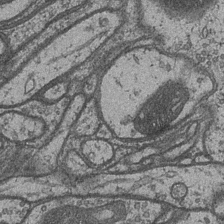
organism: Drosophila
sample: Optic medulla